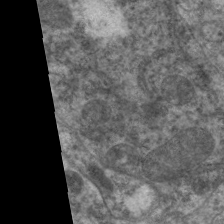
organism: C. elegans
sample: Pharynx